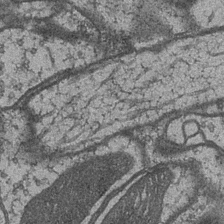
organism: Drosophila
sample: Optic medulla